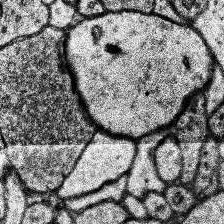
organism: Human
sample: Temporal Lobe